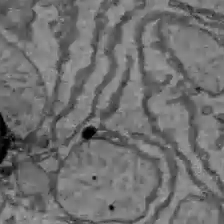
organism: C57BL Mouse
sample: Liver